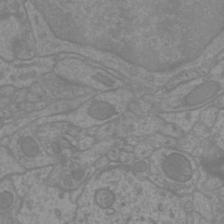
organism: Mouse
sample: Cortical neurons